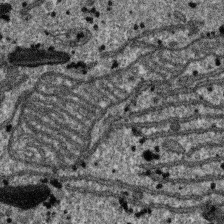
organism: Human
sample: Lung epithelial cells infected with SARS-CoV-2